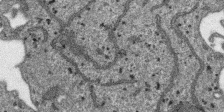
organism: Human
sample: Lung epithelial cells infected with SARS-CoV-2